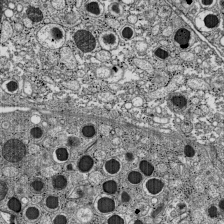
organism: C57BL Mouse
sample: Pancreatic islet